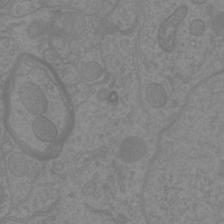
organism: Mouse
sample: Cortical neurons